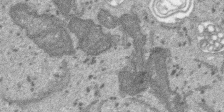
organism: Human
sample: Lung epithelial cells infected with SARS-CoV-2